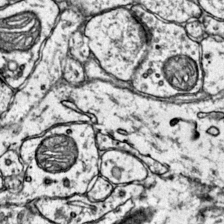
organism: Mouse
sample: Primary visual cortex